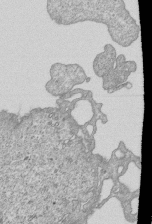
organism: Human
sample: MDA-MB-231 cells